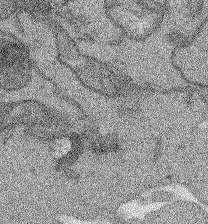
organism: Human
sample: HeLa cells